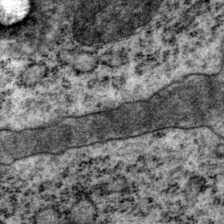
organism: P. pacificus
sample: Pharynx